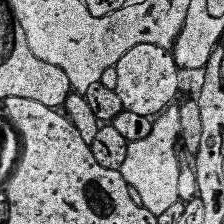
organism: Human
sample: Temporal Lobe